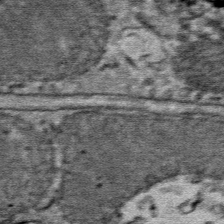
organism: Mouse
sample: Mouse Salivary gland